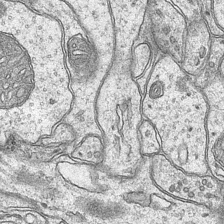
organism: Mouse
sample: CA1 Hippocampus